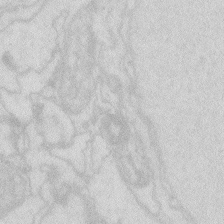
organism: Zebrafish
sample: Macrophage